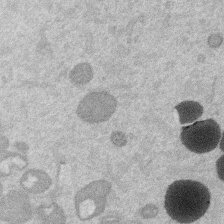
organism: Mouse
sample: Dividing mouse embryo 1 cell stage